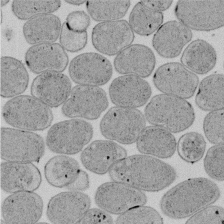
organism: E. coli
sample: Bacterial nucleoid